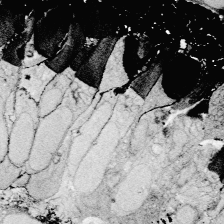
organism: Zebrafish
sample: Whole-Brain